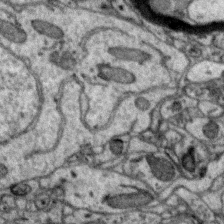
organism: Zebra finch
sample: Brain